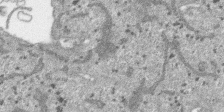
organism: Human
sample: Lung epithelial cells infected with SARS-CoV-2